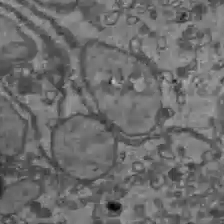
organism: C57BL Mouse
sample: Liver